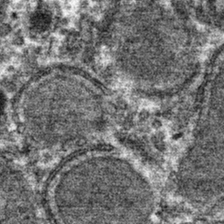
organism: Mouse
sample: Mouse hepatocytes